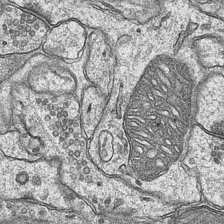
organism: Mouse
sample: CA1 Hippocampus